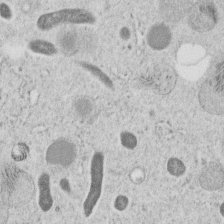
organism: C. elegans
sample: C. elegans embryo early stage